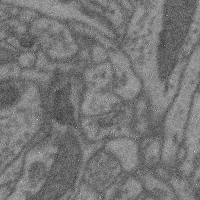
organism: Mouse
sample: Cerebral cortex